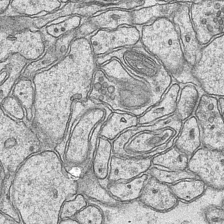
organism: Mouse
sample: CA1 Hippocampus